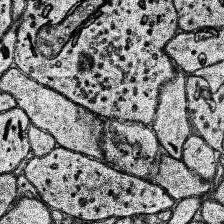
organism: Human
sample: Temporal Lobe